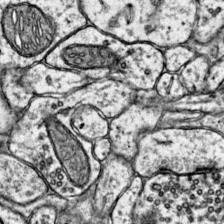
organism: Mouse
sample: Primary visual cortex